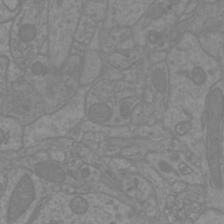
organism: Mouse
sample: Cortical neurons